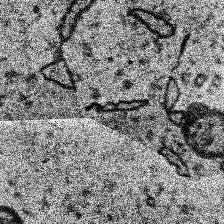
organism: Human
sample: Temporal Lobe